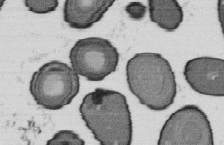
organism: B. subtilis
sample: Bacterial spore